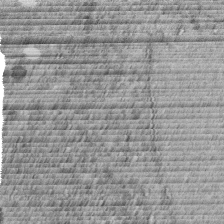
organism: C. elegans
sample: C. elegans embryo early stage